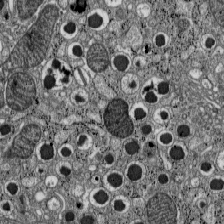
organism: C57BL Mouse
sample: Pancreatic islet